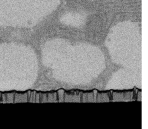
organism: Rat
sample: Salivary granule